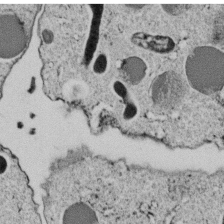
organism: C. elegans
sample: C. elegans embryo early stage